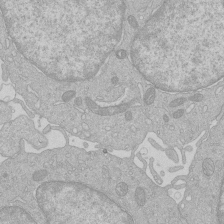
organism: Human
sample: Macrophage cells